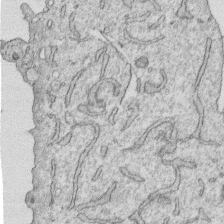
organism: Human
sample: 1205lu cells